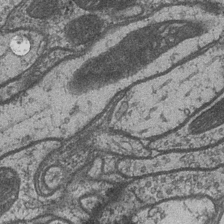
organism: Drosophila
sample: Optic medulla